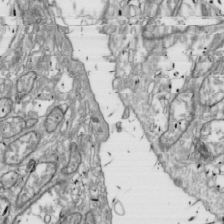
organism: Drosophila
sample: Cell division; meiosis; drosophila spermatocytes